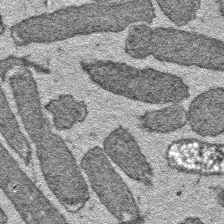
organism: E. coli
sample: E. Coli Bacteria